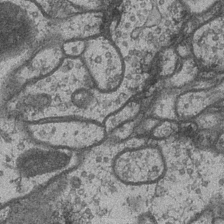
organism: Drosophila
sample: Optic medulla